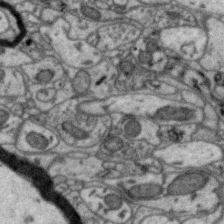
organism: Zebra finch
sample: Brain